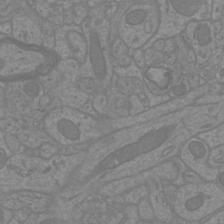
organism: Mouse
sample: Cortical neurons